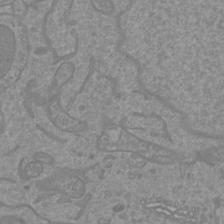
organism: Mouse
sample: Cortical neurons